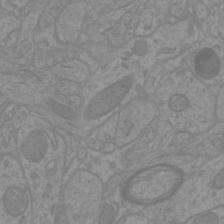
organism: Mouse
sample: Cortical neurons